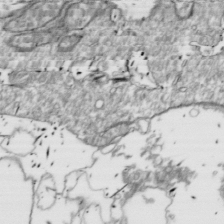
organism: Drosophila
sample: Cell division; meiosis; drosophila spermatocytes